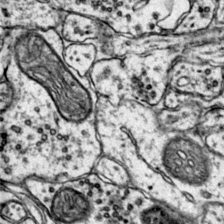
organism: Mouse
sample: Primary visual cortex